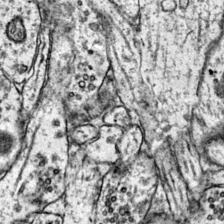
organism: Mouse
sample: Primary visual cortex